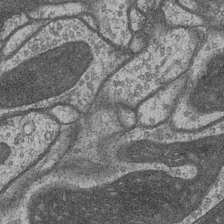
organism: Drosophila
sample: Optic medulla